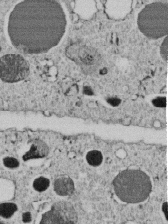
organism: C. elegans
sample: C. elegans embryo early stage